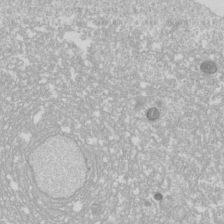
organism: Drosophila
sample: Cell division; meiosis; drosophila spermatocytes